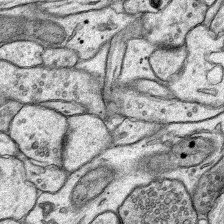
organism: Rat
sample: Hippocampus